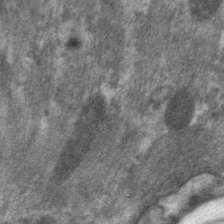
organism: C. elegans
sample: Pharynx